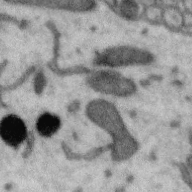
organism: Zebra finch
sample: Brain